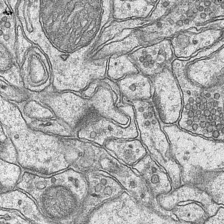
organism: Mouse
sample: CA1 Hippocampus